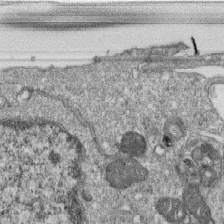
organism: African green monkey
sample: Vero E6 cells infected with SARS-CoV-2